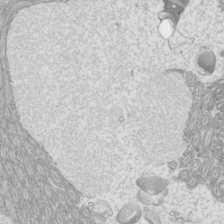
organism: Mouse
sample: Cilia; mouse epididymis